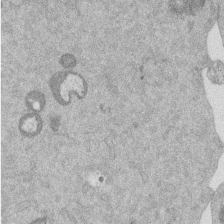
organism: Mouse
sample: Dividing mouse embryo 1 cell stage